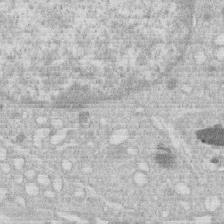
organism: Human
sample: Macrophage cells